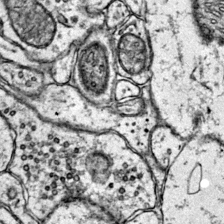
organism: Mouse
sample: Primary visual cortex